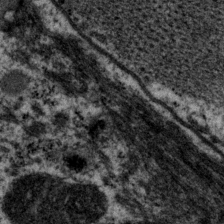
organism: P. pacificus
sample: Pharynx